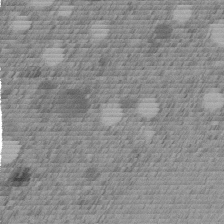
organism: C. elegans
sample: C. elegans embryo early stage